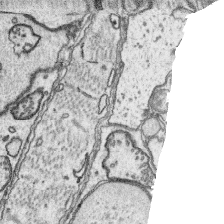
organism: Platynereis dumerilii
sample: Parapodia